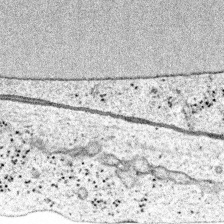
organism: Human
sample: HeLa cells